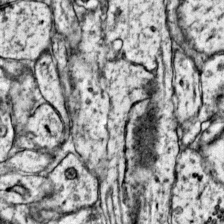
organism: Mouse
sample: Primary visual cortex